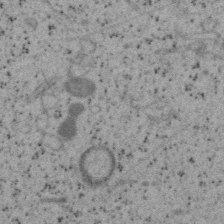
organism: Human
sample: HeLa cells